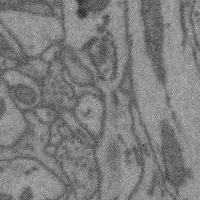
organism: Mouse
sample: Cerebral cortex